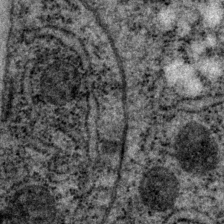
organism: P. pacificus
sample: Pharynx